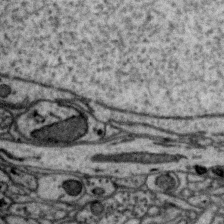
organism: Zebra finch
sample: Brain